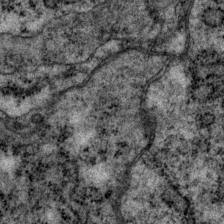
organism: P. pacificus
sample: Pharynx